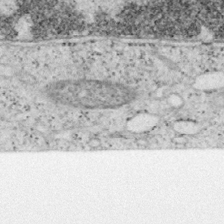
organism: Mouse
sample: OT-I killer T cells with ID8 ovarian cancer cells